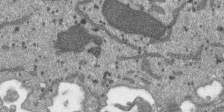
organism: Human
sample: Lung epithelial cells infected with SARS-CoV-2